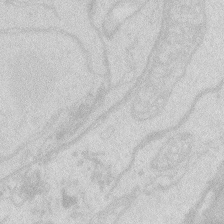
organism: Zebrafish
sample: Macrophage